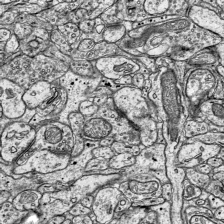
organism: Mouse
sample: Visual Cortex